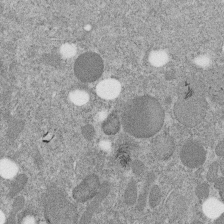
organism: C. elegans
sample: C. elegans embryo early stage